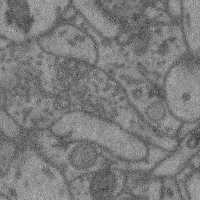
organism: Mouse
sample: Cerebral cortex